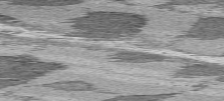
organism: C57BL Mouse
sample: Heart